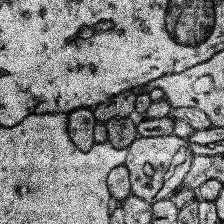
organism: Human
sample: Temporal Lobe